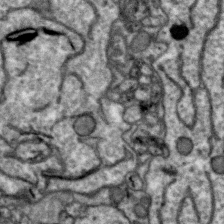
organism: Zebra finch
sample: Brain